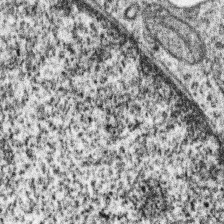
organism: Human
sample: HeLa cells